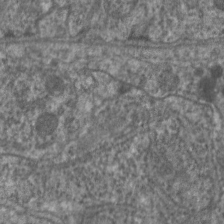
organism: C. elegans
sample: Pharynx